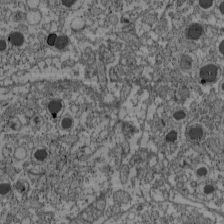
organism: C57BL Mouse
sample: Pancreatic islet